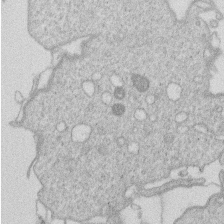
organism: Human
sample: Macrophage cells